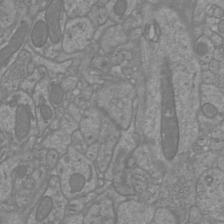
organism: Mouse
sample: Cortical neurons